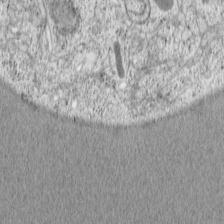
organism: African green monkey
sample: COS-7 cells